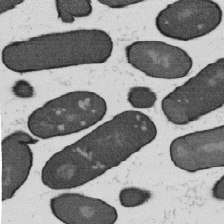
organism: B. subtilis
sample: Bacterial spore